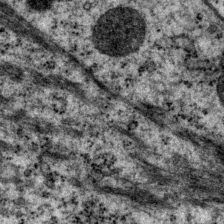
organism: P. pacificus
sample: Pharynx